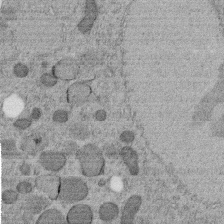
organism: C. elegans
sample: C. elegans embryo early stage